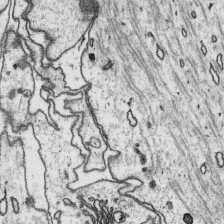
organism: Platynereis dumerilii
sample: Parapodia